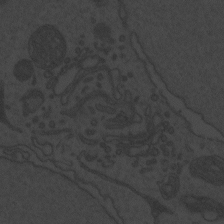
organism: Zebrafish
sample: Macrophage infected with Toxoplasma gondii